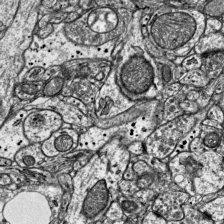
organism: Mouse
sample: Visual Cortex